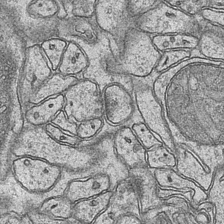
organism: Mouse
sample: CA1 Hippocampus